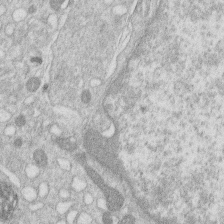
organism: Human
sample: Macrophage cells